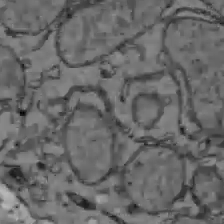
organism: C57BL Mouse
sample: Liver